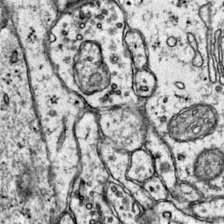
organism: Mouse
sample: Primary visual cortex